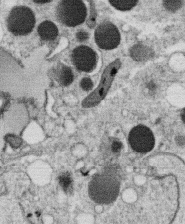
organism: C. elegans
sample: C. elegans oocyte; sperm cells